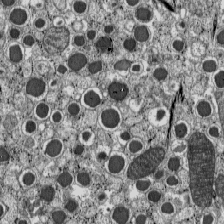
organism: C57BL Mouse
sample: Pancreatic islet